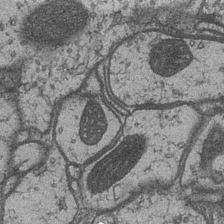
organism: Drosophila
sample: Optic medulla